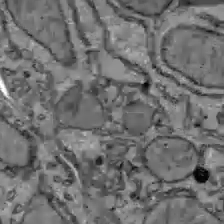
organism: C57BL Mouse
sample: Liver